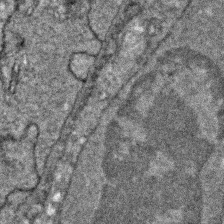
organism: Zebrafish